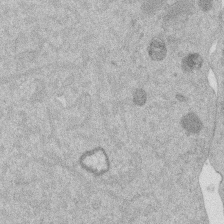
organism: Mouse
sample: Dividing mouse embryo 1 cell stage